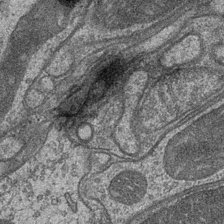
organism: Drosophila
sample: Optic medulla